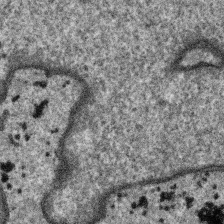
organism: Human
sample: Lung epithelial cells infected with SARS-CoV-2